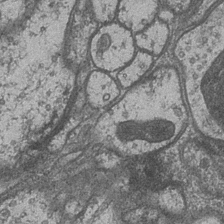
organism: Drosophila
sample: Optic medulla